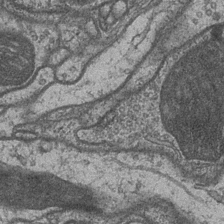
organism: Drosophila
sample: Optic medulla